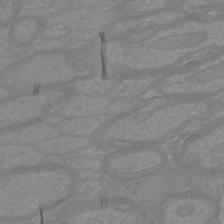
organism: Mouse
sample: Cortical neurons